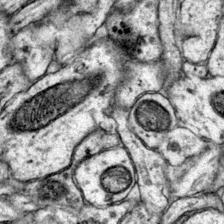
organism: Mouse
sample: Primary visual cortex